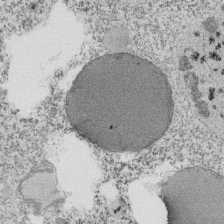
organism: Tetrahymena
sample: Cilia in tetrahymena